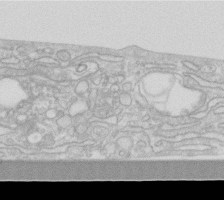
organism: Human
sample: Fibroblast cells